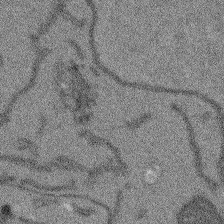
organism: Arabidopsis thaliana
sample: Root tip